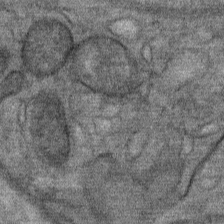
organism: Mouse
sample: Mouse Salivary gland